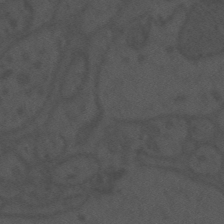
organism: Mouse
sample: Suprachiasmatic nucleus